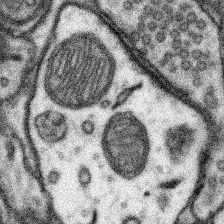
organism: Mouse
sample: Somatosensory cortex neuropil